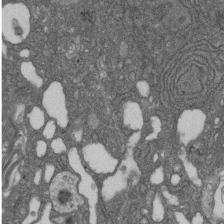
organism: Drosophila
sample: Nephrocyte